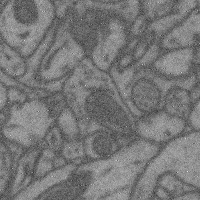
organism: Mouse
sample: Cerebral cortex